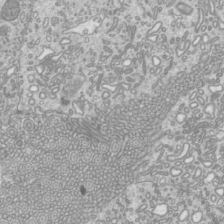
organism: Mouse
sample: Cilia; mouse epididymis